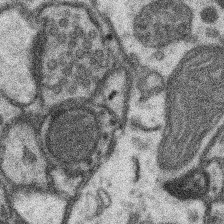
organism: Mouse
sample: Somatosensory cortex neuropil